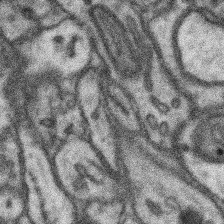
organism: Mouse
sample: Somatosensory cortex neuropil